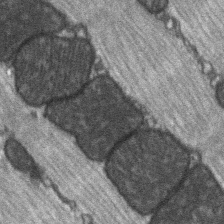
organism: C57BL Mouse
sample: Soleus